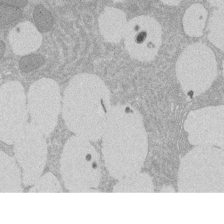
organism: Rat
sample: Salivary granule